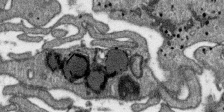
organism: Human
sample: Lung epithelial cells, uninfected (mock) control